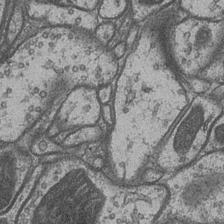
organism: Drosophila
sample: Optic medulla